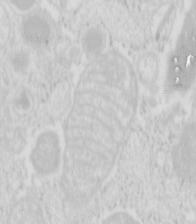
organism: Mouse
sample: Pancreas